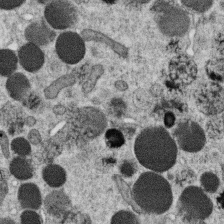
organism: C. elegans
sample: C. elegans oocyte; sperm cells